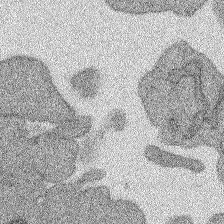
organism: Human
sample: HeLa cells